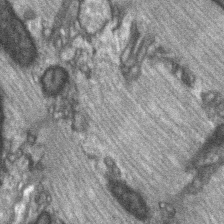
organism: C57BL Mouse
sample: Soleus